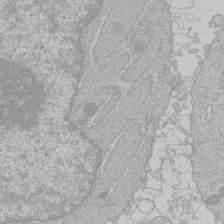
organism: Human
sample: Macrophage cells